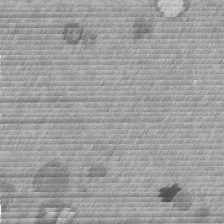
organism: Mouse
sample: Dividing mouse embryo 1 cell stage